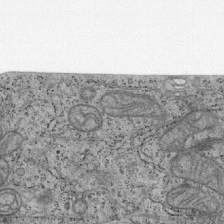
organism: Human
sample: HeLa cells